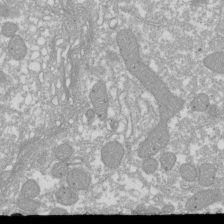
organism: Xenopus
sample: Cilia; centrioles in frog embryo cells